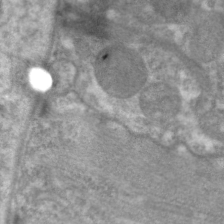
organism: C. elegans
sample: Pharynx